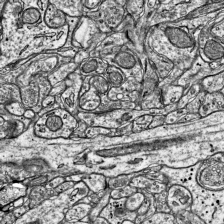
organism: Mouse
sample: Visual Cortex